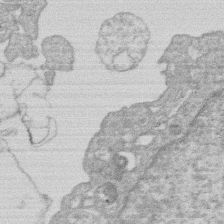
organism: Human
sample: Macrophage cells